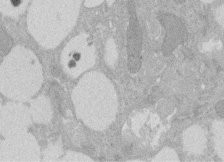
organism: Rat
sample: Salivary granule